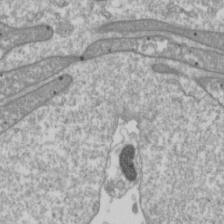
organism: Drosophila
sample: Cell division; meiosis; drosophila spermatocytes